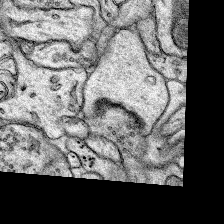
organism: Rat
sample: Hippocampus